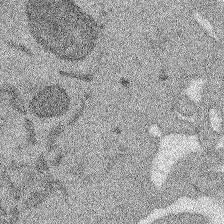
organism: Human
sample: HeLa cells